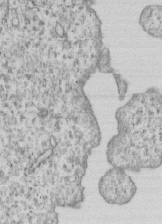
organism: Human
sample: MDA-MB-231 cells